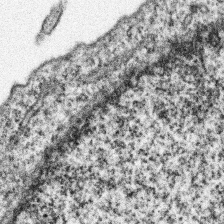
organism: Human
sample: HeLa cells